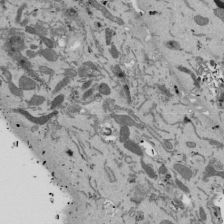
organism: Mouse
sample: ED-1 cell nuclei; centrioles